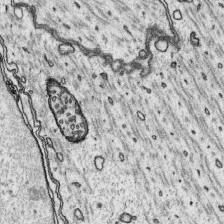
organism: Platynereis dumerilii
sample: Parapodia